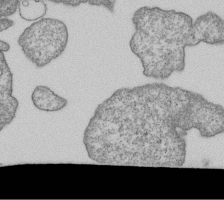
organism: Human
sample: MDA-MB-231 cells